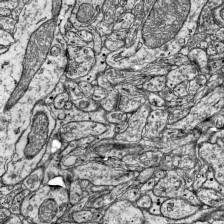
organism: Mouse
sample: Visual Cortex